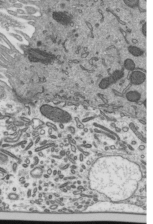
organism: Mouse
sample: Mouse epididymis efferent ductule cilia